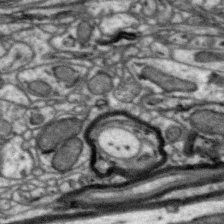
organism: Zebra finch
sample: Brain